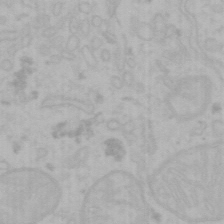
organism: Mouse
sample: Choroid plexus